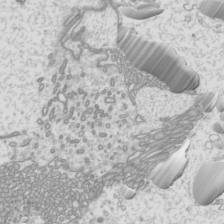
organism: Mouse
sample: Cilia; mouse epididymis